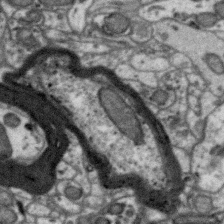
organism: Zebra finch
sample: Brain